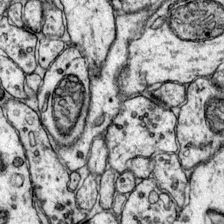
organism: Mouse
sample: Primary visual cortex